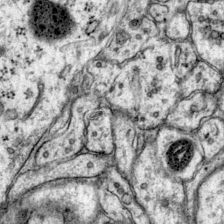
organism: Mouse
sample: Primary visual cortex